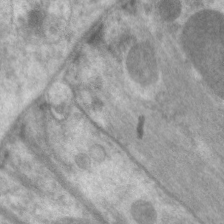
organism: C. elegans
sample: Pharynx